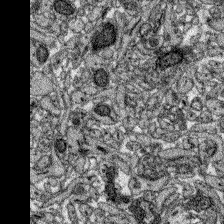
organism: Zebrafish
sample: Larval olfactory bulb